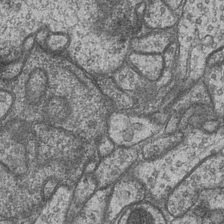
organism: Drosophila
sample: Optic medulla